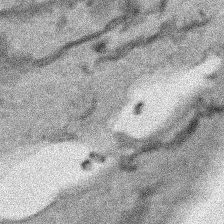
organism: Human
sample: Mitochondria in HCT116 cells